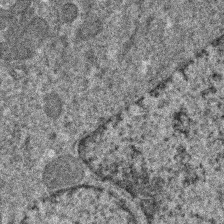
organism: Human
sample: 1205lu cells